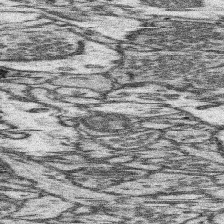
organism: Mouse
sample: Somatosensory cortex neuropil